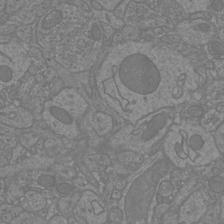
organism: Mouse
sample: Cortical neurons